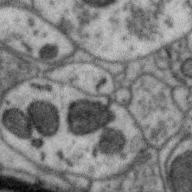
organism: Zebra finch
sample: Brain